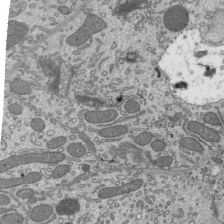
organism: Mouse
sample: Mouse epididymis efferent ductule cilia